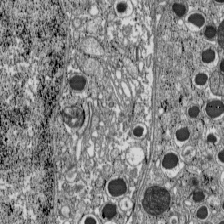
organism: C57BL Mouse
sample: Pancreatic islet